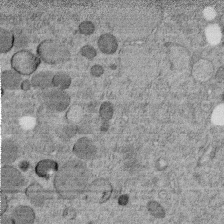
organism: C. elegans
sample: C. elegans embryo early stage